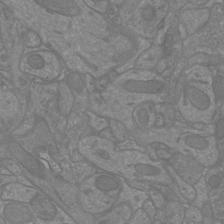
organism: Mouse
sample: Cortical neurons